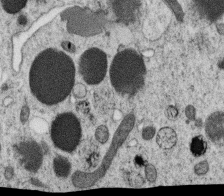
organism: C. elegans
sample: C. elegans oocyte; sperm cells